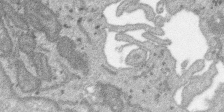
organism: Human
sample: Lung epithelial cells infected with SARS-CoV-2